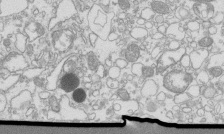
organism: Mouse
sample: Macrophages